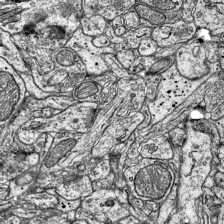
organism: Mouse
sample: Visual Cortex